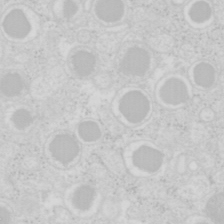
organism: Mouse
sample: Pancreas